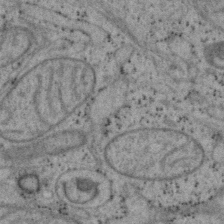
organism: Human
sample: HeLa cells